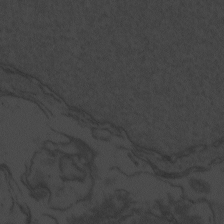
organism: Zebrafish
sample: Macrophage infected with Toxoplasma gondii